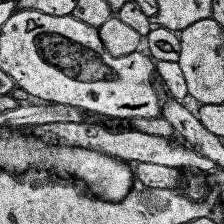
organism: Human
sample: Temporal Lobe